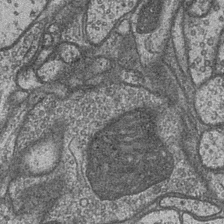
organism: Drosophila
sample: Optic medulla